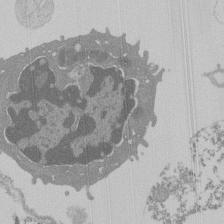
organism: Mouse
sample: Activated Pmel transgenic CD8+ T Cells